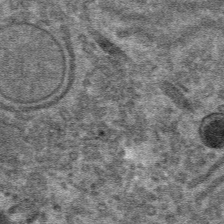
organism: Mouse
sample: Mouse hepatocytes